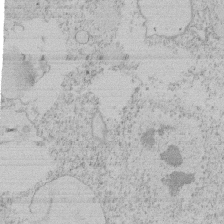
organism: Tetrahymena